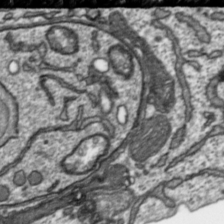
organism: Toxoplasma gondii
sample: Parasites in a vacuole inside a host cell